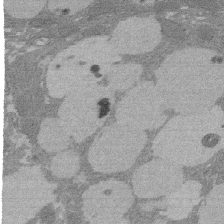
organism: Rat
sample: Salivary granule